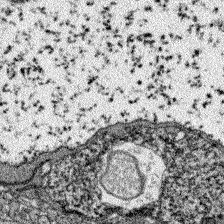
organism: Zebrafish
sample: Larval olfactory bulb